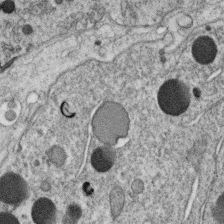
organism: C. elegans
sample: C. elegans oocyte; sperm cells